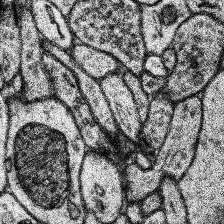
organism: Human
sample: Temporal Lobe